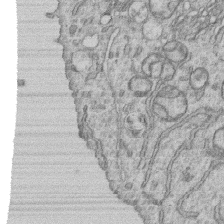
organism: Human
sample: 1205lu cells